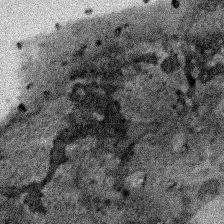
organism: Human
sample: Mitochondria in HCT116 cells